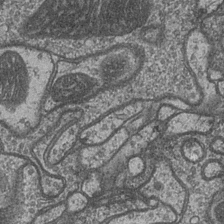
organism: Drosophila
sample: Optic medulla